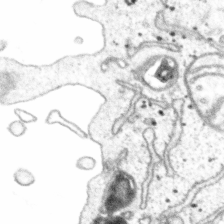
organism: Human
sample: HeLa cells